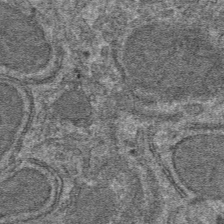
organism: Mouse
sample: Mouse hepatocytes